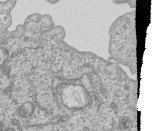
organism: Human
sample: MDA-MB-231 cells